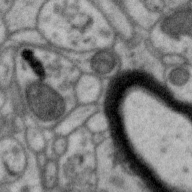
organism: Zebra finch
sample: Brain